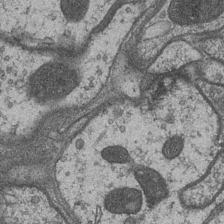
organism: Drosophila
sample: Optic medulla